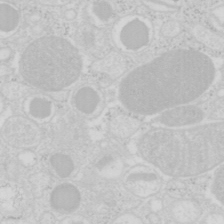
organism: Mouse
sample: Pancreas